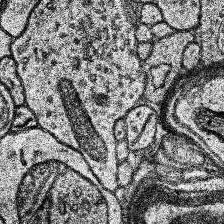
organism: Human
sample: Temporal Lobe